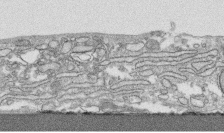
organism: Human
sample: CRL-1474